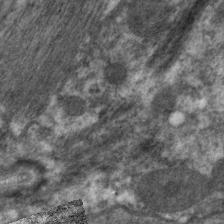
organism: C. elegans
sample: Pharynx